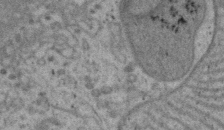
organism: Human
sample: HeLa cells